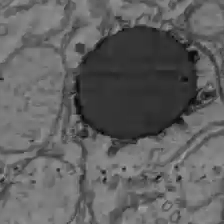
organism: C57BL Mouse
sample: Liver